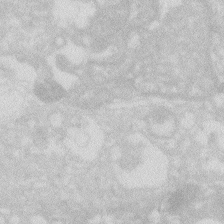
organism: Zebrafish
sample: Macrophage